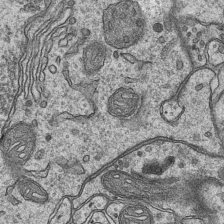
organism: Mouse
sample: CA1 Hippocampus